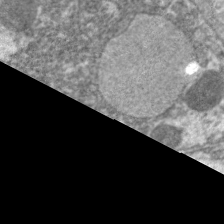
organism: C. elegans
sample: Pharynx